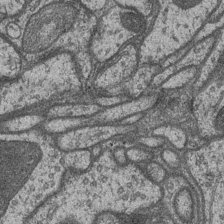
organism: Drosophila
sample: Optic medulla